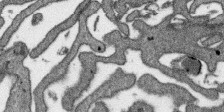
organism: Human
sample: Lung epithelial cells, uninfected (mock) control